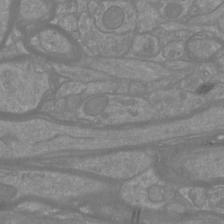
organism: Mouse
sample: Cortical neurons